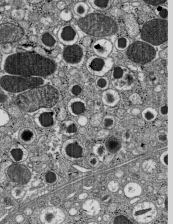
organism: C57BL Mouse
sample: Pancreatic islet